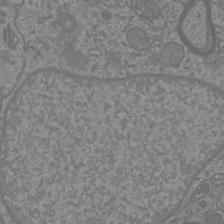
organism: Mouse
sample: Cortical neurons